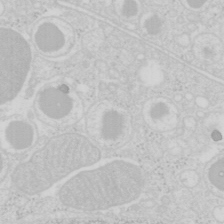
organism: Mouse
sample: Pancreas